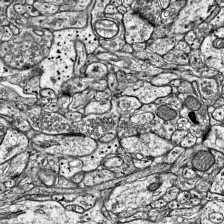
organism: Mouse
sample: Visual Cortex